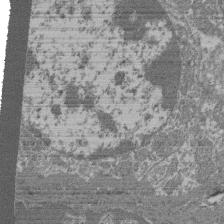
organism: Mouse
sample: Glomerulus